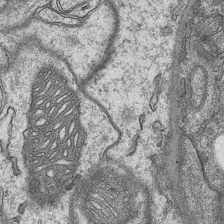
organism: Mouse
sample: CA1 Hippocampus